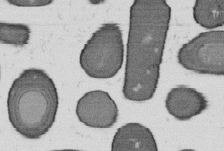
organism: B. subtilis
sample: Bacterial spore